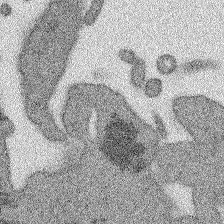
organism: Human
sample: HeLa cells